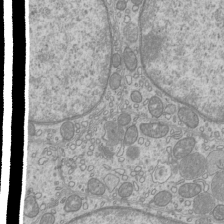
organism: Mouse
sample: Cilia; mouse epididymis